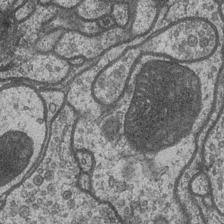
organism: Drosophila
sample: Optic medulla